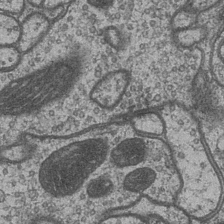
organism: Drosophila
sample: Optic medulla